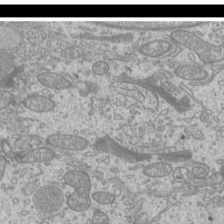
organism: Mouse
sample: Cilia; mouse epididymis